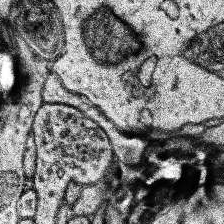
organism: Human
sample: Temporal Lobe